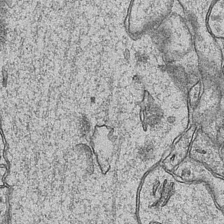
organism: Mouse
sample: CA1 Hippocampus